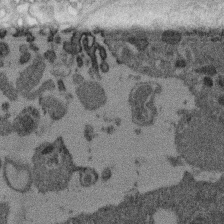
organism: Mouse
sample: Dividing mouse embryo 1 cell stage